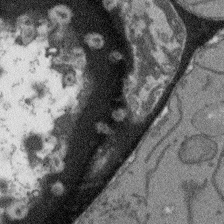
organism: Arabidopsis thaliana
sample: Root tip